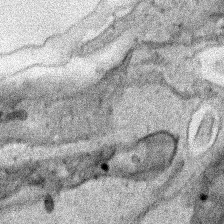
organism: Human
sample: Mitochondria in HCT116 cells